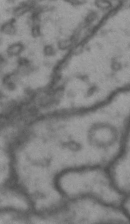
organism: Drosophila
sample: Brain